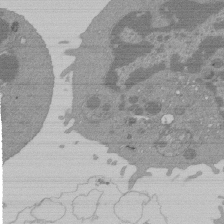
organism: Mouse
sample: Activated Pmel transgenic CD8+ T Cells